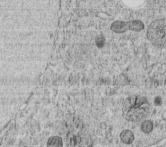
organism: C. elegans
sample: C. elegans embryo early stage